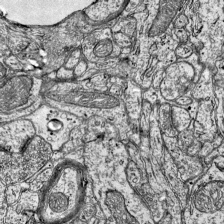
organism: Mouse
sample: Visual Cortex